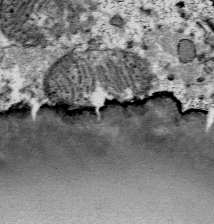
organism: Mouse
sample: Mouse Salivary gland